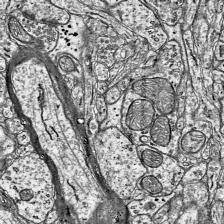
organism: Mouse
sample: Visual Cortex